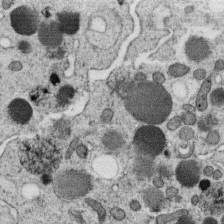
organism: C. elegans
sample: C. elegans oocyte; sperm cells